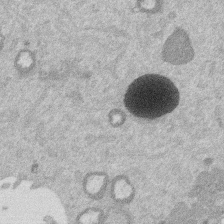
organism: Mouse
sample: Dividing mouse embryo 1 cell stage